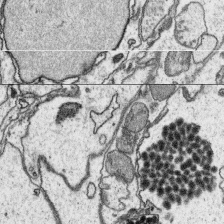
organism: Platynereis dumerilii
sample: Parapodia